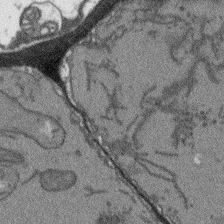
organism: Arabidopsis thaliana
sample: Root tip